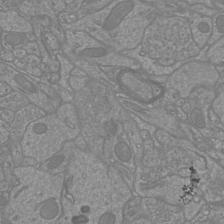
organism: Mouse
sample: Cortical neurons